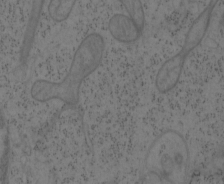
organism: Mouse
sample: OT-I killer T cells with ID8 ovarian cancer cells